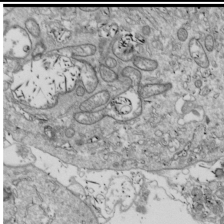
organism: Drosophila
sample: Cell division; meiosis; drosophila spermatocytes